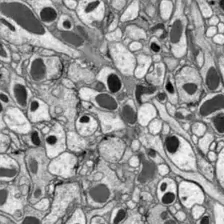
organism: Drosophila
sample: Optic lobe